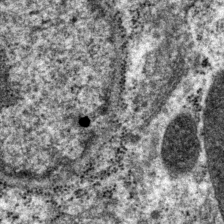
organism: P. pacificus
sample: Pharynx